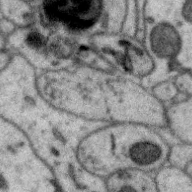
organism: Zebra finch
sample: Brain